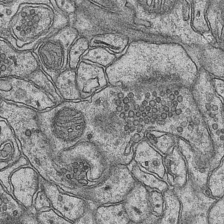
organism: Mouse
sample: CA1 Hippocampus